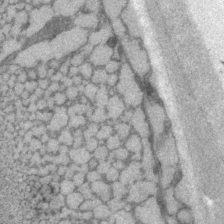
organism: P. pacificus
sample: Pharynx